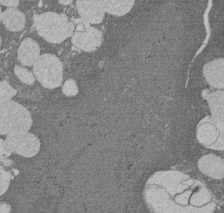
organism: Rat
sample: Salivary granule